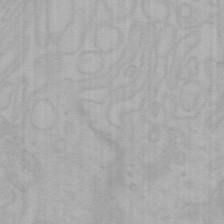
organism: Mouse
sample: Choroid plexus